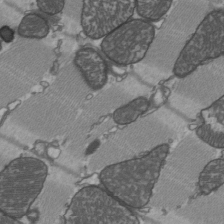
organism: C57BL Mouse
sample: Heart